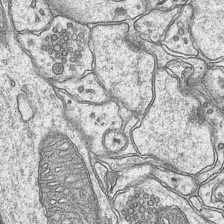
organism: Mouse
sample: CA1 Hippocampus